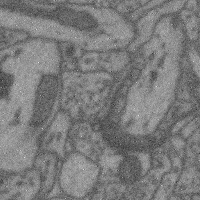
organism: Mouse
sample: Cerebral cortex